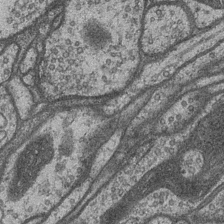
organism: Drosophila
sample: Optic medulla